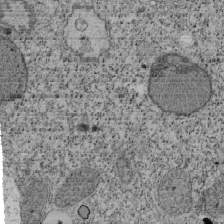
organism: Tetrahymena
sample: Cilia in tetrahymena